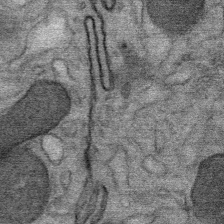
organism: Mouse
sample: Mouse Salivary gland